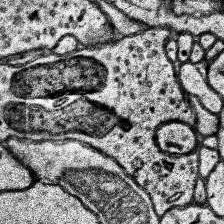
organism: Human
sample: Temporal Lobe